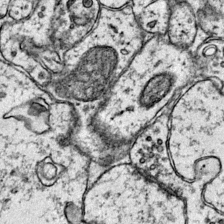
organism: Mouse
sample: Primary visual cortex